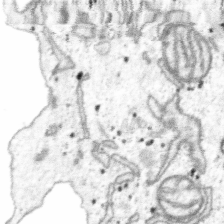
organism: Human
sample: HeLa cells